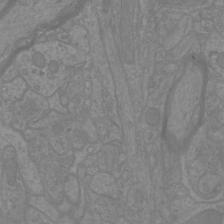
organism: Mouse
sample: Cortical neurons